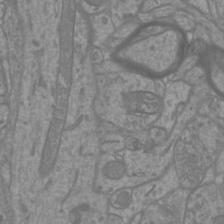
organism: Mouse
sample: Cortical neurons